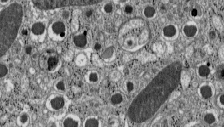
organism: C57BL Mouse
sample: Pancreatic islet